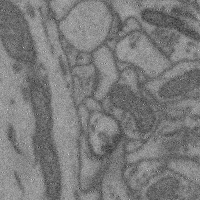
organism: Mouse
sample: Cerebral cortex